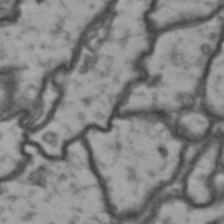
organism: Drosophila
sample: Brain